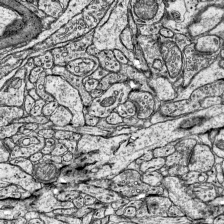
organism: Mouse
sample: Visual Cortex